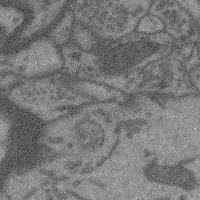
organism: Mouse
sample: Cerebral cortex